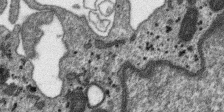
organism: Human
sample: Lung epithelial cells infected with SARS-CoV-2